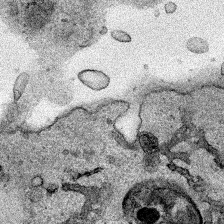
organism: Human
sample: Mitochondria in HCT116 cells